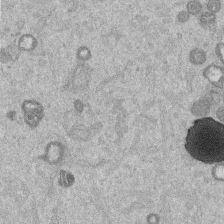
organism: Mouse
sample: Dividing mouse embryo 1 cell stage